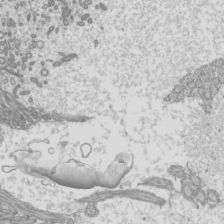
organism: Mouse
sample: Cilia; mouse epididymis